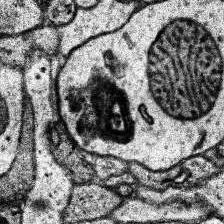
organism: Human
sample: Temporal Lobe